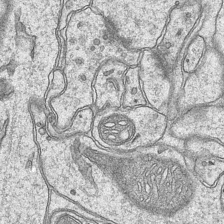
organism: Mouse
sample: CA1 Hippocampus